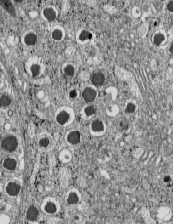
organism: C57BL Mouse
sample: Pancreatic islet